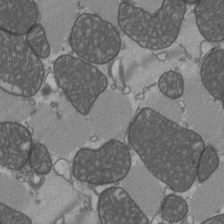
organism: C57BL Mouse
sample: Heart